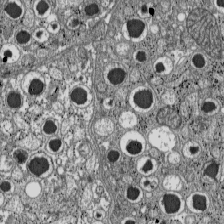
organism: C57BL Mouse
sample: Pancreatic islet